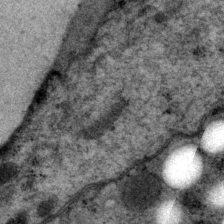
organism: P. pacificus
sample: Pharynx